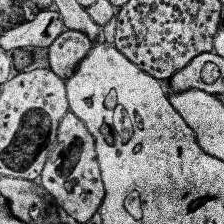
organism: Human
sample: Temporal Lobe